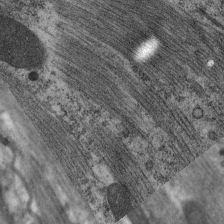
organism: C. elegans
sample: Pharynx